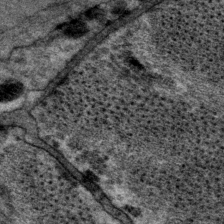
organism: P. pacificus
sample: Pharynx